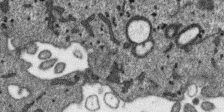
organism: Human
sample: Lung epithelial cells infected with SARS-CoV-2